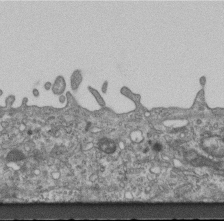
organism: Mouse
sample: Centriole in ependymal cells